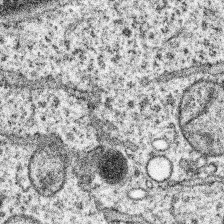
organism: Human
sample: HeLa cells